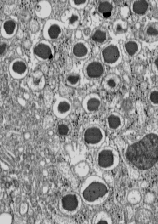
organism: C57BL Mouse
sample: Pancreatic islet